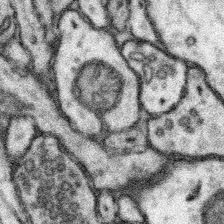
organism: Mouse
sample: Somatosensory cortex neuropil